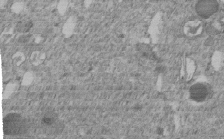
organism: C. elegans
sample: C. elegans embryo early stage